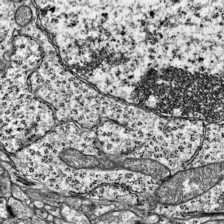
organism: Mouse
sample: Visual Cortex